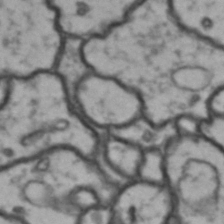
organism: Drosophila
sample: Brain